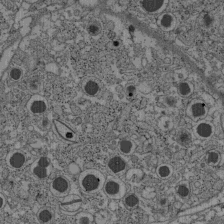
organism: C57BL Mouse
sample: Pancreatic islet